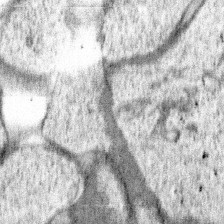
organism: Human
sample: HeLa cells